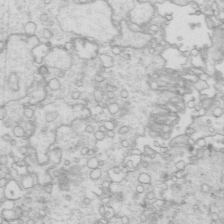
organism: Mouse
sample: Multiciliated cells